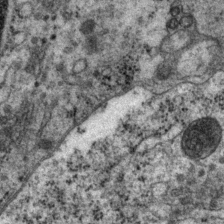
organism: P. pacificus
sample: Pharynx